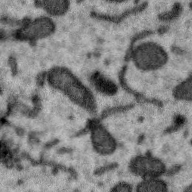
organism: Zebra finch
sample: Brain